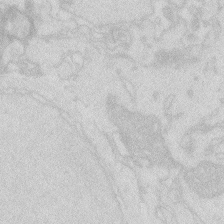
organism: Zebrafish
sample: Macrophage